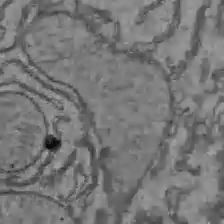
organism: C57BL Mouse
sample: Liver